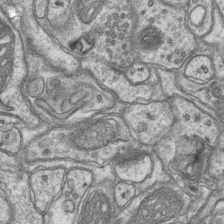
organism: Mouse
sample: CA1 Hippocampus